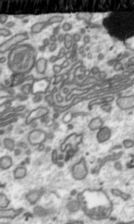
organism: Toxoplasma gondii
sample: Parasites in a vacuole inside a host cell